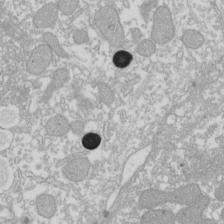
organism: Xenopus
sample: Cilia; centrioles in frog embryo cells